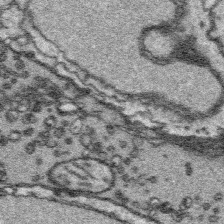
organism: Platynereis dumerilii